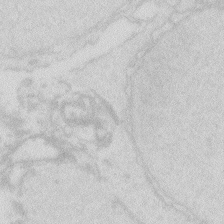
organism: Zebrafish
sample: Macrophage